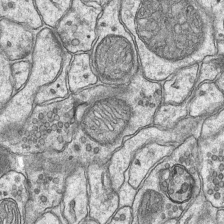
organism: Mouse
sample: CA1 Hippocampus